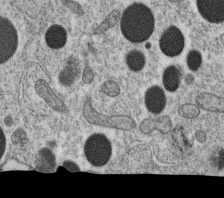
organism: C. elegans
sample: C. elegans oocyte; sperm cells